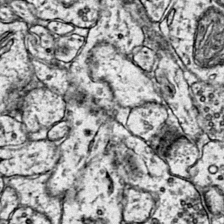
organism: Mouse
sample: Primary visual cortex